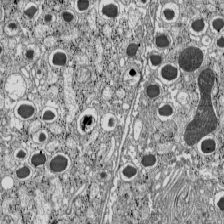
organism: C57BL Mouse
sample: Pancreatic islet